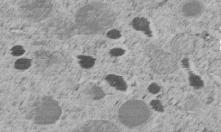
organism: C. elegans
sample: C. elegans embryo early stage